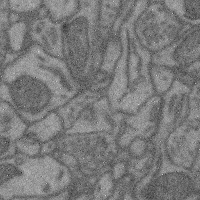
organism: Mouse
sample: Cerebral cortex